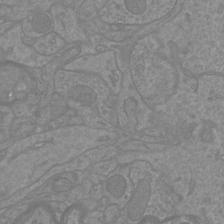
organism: Mouse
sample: Cortical neurons